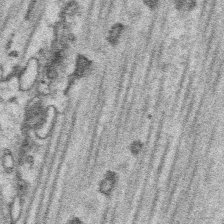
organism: Platynereis dumerilii